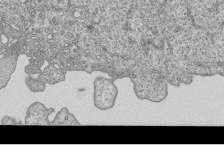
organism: Human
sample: MDA-MB-231 cells